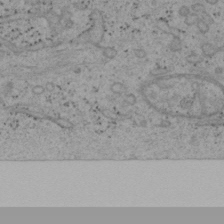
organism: Human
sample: HeLa cells